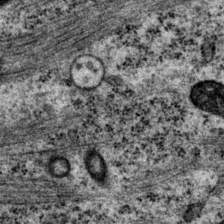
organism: P. pacificus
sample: Pharynx